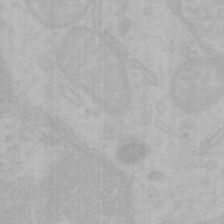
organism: Mouse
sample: Choroid plexus